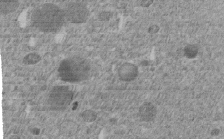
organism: C. elegans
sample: C. elegans embryo early stage